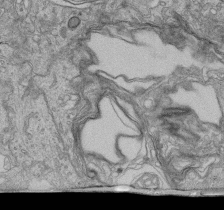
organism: Human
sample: Retinal organoid Rod and Cone cells